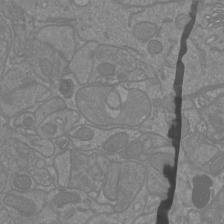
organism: Mouse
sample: Cortical neurons